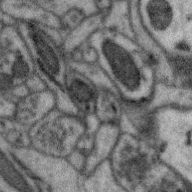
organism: Zebra finch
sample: Brain